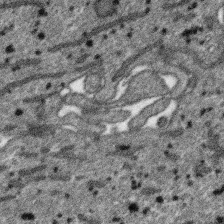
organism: Human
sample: Lung epithelial cells infected with SARS-CoV-2